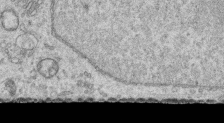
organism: Human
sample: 1205lu cells